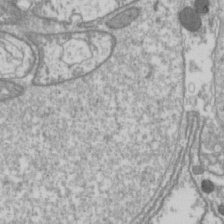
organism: Drosophila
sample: Cell division; meiosis; drosophila spermatocytes